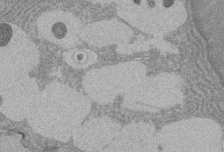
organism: Rat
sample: Salivary granule